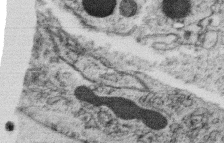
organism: C. elegans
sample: C. elegans oocyte; sperm cells